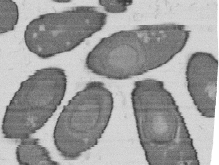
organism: B. subtilis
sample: Bacterial spore